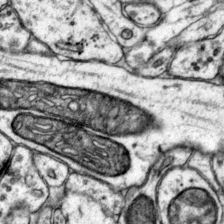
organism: Mouse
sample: Primary visual cortex